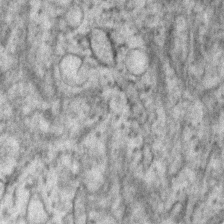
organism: Human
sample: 1205lu cells